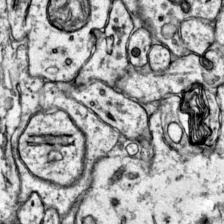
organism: Mouse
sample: Primary visual cortex